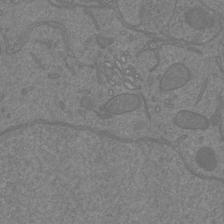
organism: Mouse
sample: Cortical neurons